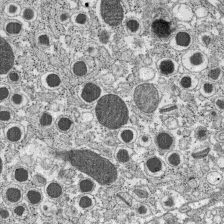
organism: C57BL Mouse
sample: Pancreatic islet